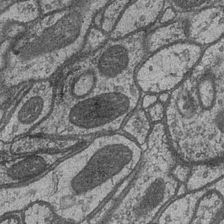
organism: Drosophila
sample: Optic medulla